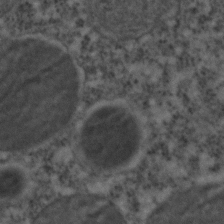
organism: C. elegans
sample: C. elegans embryo